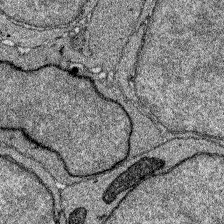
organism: Zebrafish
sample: Larval olfactory bulb